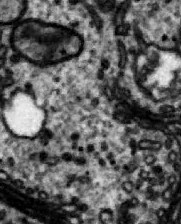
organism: Human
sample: HeLa cells